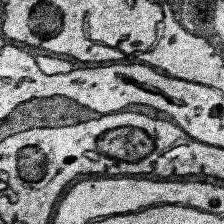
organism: Human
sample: Temporal Lobe